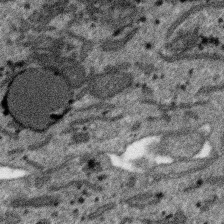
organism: Human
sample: Lung epithelial cells infected with SARS-CoV-2